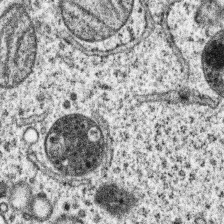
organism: Human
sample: HeLa cells